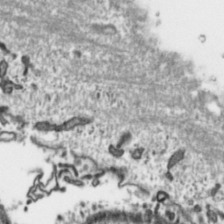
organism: Toxoplasma gondii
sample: Parasites in a vacuole inside a host cell